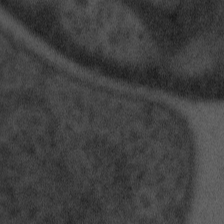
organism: Tuwongella immobilis